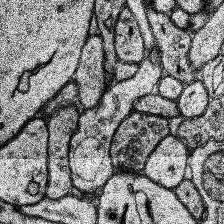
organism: Human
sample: Temporal Lobe